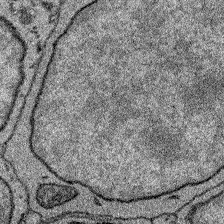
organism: Zebrafish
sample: Larval olfactory bulb